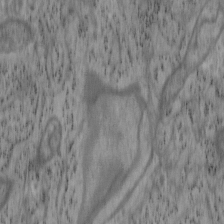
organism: Human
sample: HeLa cells